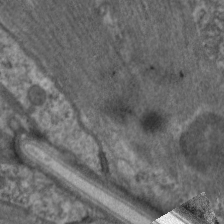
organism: C. elegans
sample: Pharynx